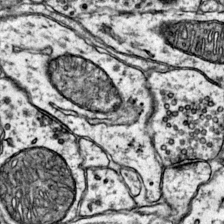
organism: Mouse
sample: Primary visual cortex